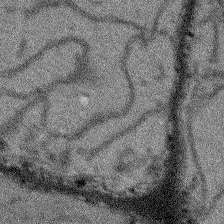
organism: Arabidopsis thaliana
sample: Root tip